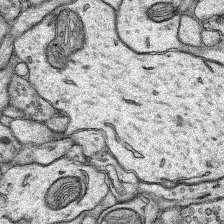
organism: Rat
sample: Hippocampus